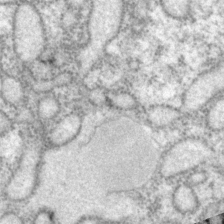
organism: P. pacificus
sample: Pharynx